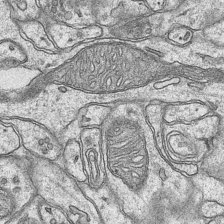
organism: Mouse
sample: CA1 Hippocampus